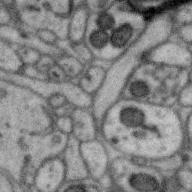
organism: Zebra finch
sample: Brain